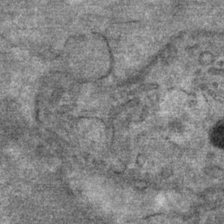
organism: Mouse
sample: Mouse Salivary gland